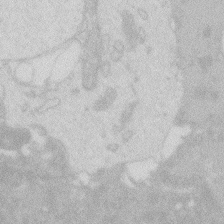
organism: Zebrafish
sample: Macrophage